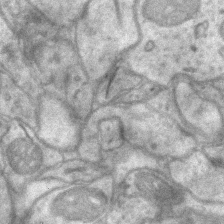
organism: Mouse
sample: CA1 Hippocampus